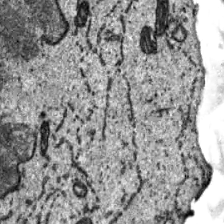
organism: Human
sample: HeLa cells